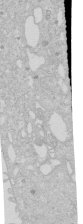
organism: Human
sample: Caco-2 cells